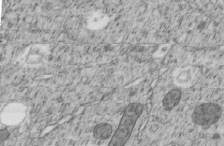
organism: C. elegans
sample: C. elegans embryo early stage